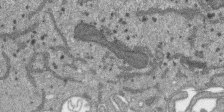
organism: Human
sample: Lung epithelial cells infected with SARS-CoV-2